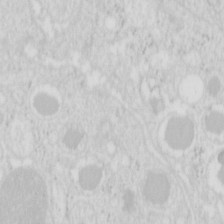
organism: Mouse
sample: Pancreas